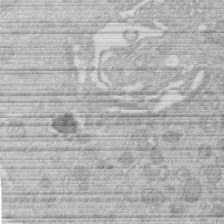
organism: Human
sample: Macrophage cells